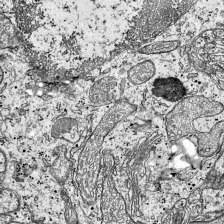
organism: Mouse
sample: Visual Cortex